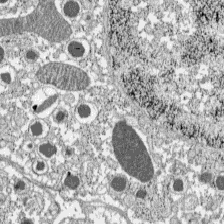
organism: C57BL Mouse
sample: Pancreatic islet